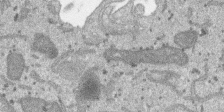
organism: Human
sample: Lung epithelial cells infected with SARS-CoV-2